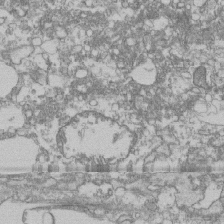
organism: Human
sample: Fibroblast cells